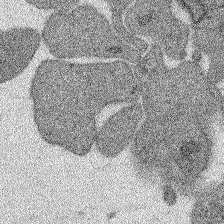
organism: Human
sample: HeLa cells